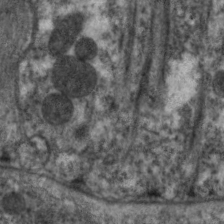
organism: C. elegans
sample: Pharynx